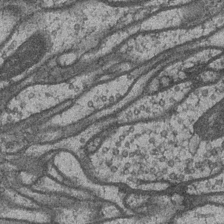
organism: Drosophila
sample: Optic medulla